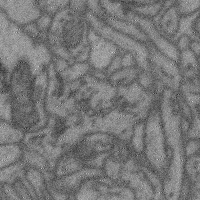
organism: Mouse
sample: Cerebral cortex